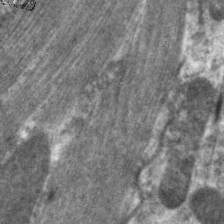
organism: C. elegans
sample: Pharynx